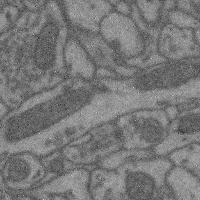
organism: Mouse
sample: Cerebral cortex